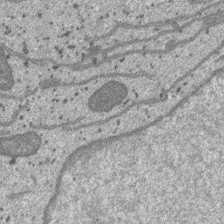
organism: Human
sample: Lung epithelial cells infected with SARS-CoV-2